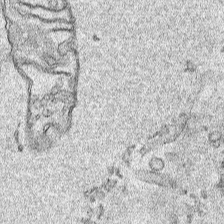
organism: Human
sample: Mitochondria in HCT116 cells